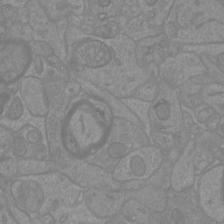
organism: Mouse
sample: Cortical neurons